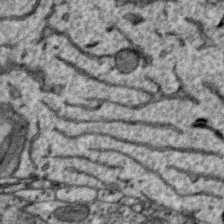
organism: Zebra finch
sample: Brain